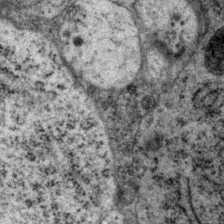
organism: P. pacificus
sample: Pharynx